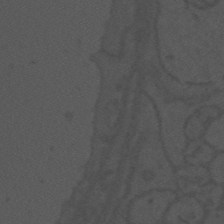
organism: Mouse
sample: Suprachiasmatic nucleus